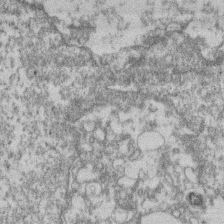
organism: Mouse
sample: T cell stromal cell synapse